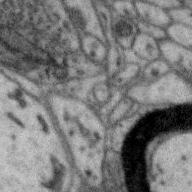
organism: Zebra finch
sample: Brain